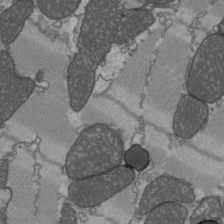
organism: C57BL Mouse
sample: Heart